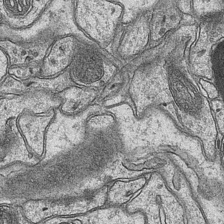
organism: Mouse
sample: CA1 Hippocampus